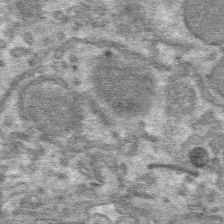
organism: Mouse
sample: Mouse hepatocytes